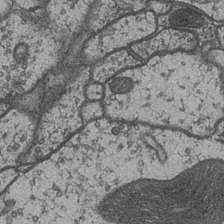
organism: Drosophila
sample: Optic medulla